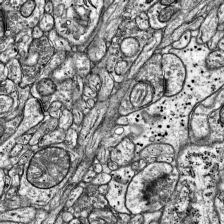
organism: Mouse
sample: Visual Cortex